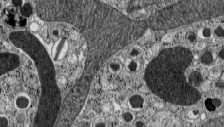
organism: C57BL Mouse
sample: Pancreatic islet